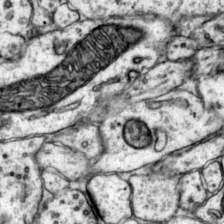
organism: Mouse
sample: Primary visual cortex